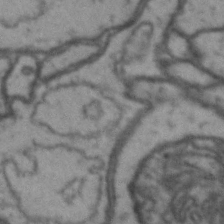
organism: Drosophila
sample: Brain